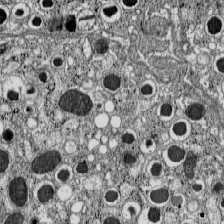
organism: C57BL Mouse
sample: Pancreatic islet